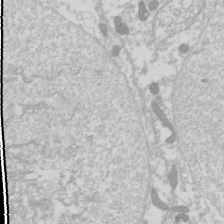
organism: Drosophila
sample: Cell division; meiosis; drosophila spermatocytes